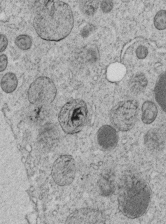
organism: C. elegans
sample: C. elegans embryo early stage